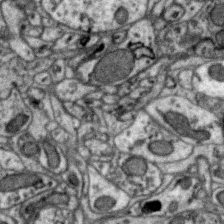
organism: Zebra finch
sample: Brain